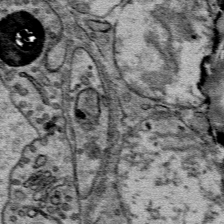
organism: Mouse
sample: Mouse Salivary gland